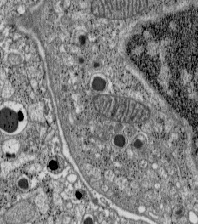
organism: C57BL Mouse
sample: Pancreatic islet